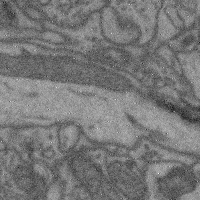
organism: Mouse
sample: Cerebral cortex